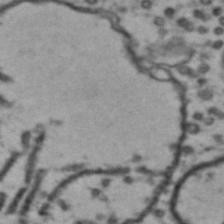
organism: Drosophila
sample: Brain